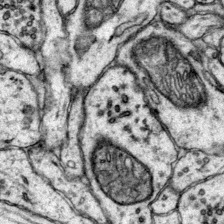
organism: Mouse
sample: Primary visual cortex